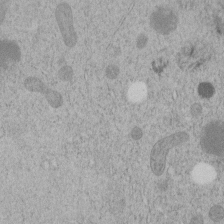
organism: C. elegans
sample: C. elegans embryo early stage